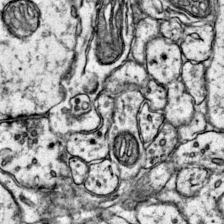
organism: Mouse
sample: Primary visual cortex